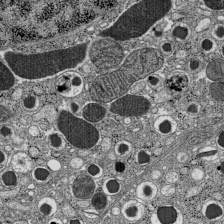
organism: C57BL Mouse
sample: Pancreatic islet